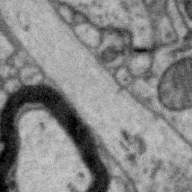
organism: Zebra finch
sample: Brain